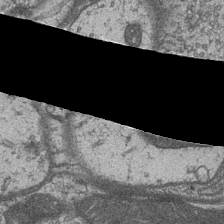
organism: Drosophila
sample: Optic medulla